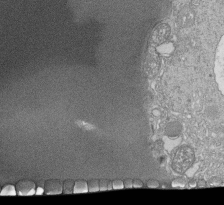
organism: Tetrahymena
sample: Cilia in tetrahymena